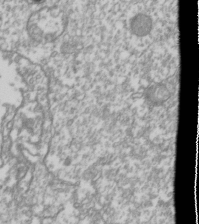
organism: Drosophila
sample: Cell division; meiosis; drosophila spermatocytes